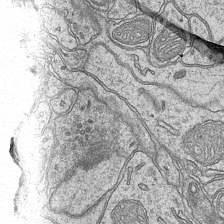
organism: Mouse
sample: CA1 Hippocampus